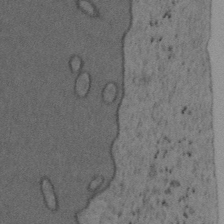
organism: Human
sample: HeLa cells